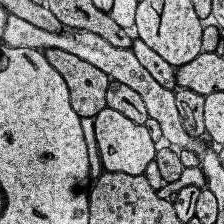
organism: Human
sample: Temporal Lobe